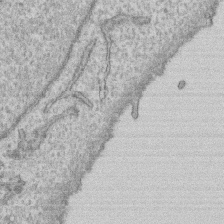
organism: Human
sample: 1205lu cells